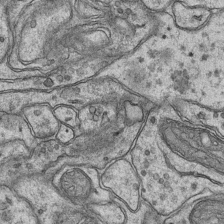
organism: Mouse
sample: CA1 Hippocampus